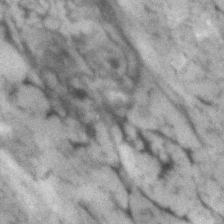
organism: Human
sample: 1205lu cells